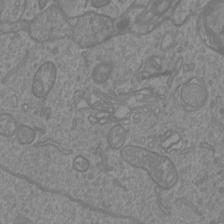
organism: Mouse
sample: Cortical neurons